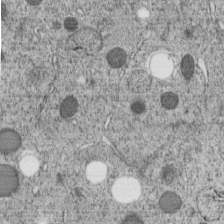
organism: C. elegans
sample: C. elegans embryo early stage